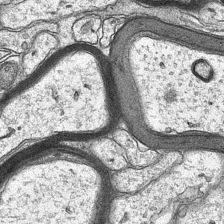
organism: Mouse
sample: CA1 Hippocampus